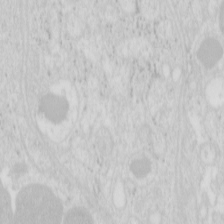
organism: Mouse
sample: Pancreas